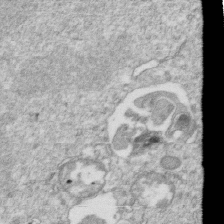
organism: Mouse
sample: Activated OT-1 CD8+ T cells